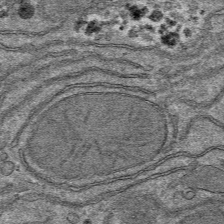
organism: Mouse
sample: Mouse hepatocytes